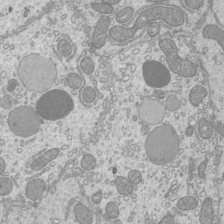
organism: Mouse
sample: Cilia; mouse epididymis